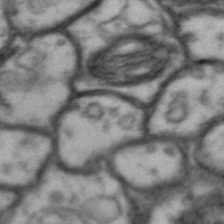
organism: Drosophila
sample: Brain